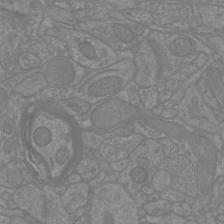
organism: Mouse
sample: Cortical neurons